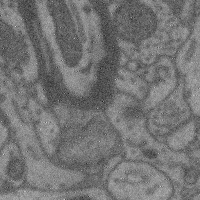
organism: Mouse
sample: Cerebral cortex